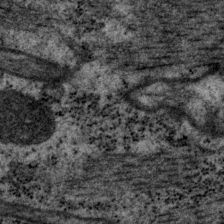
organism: P. pacificus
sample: Pharynx